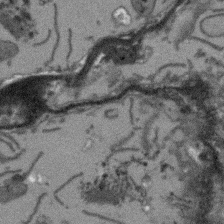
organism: Arabidopsis thaliana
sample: Root tip